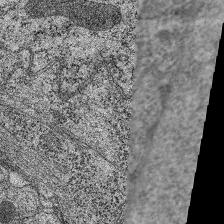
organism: C. elegans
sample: Pharynx